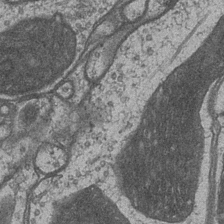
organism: Drosophila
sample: Optic medulla